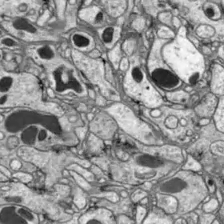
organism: Drosophila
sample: Optic lobe